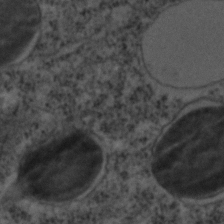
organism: C. elegans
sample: C. elegans embryo